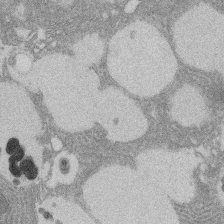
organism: Rat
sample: Salivary granule